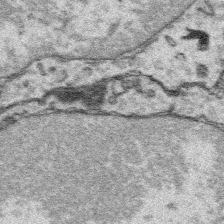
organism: Platynereis dumerilii